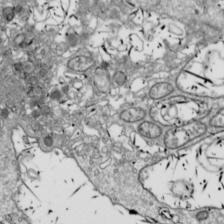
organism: Drosophila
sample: Cell division; meiosis; drosophila spermatocytes